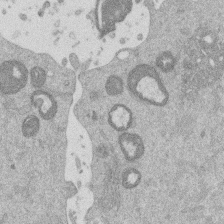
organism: Mouse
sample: Dividing mouse embryo 1 cell stage